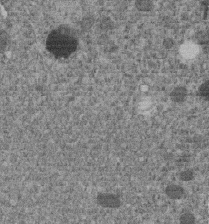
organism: C. elegans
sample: C. elegans embryo early stage